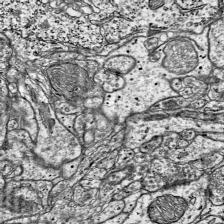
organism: Mouse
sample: Visual Cortex